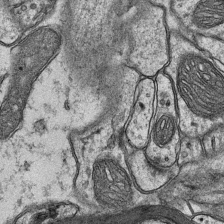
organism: Mouse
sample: CA1 Hippocampus